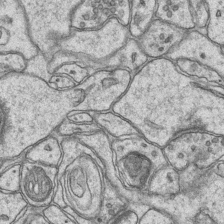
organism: Mouse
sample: CA1 Hippocampus